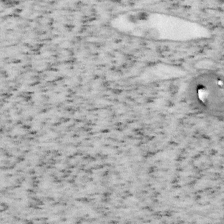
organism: Mouse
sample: OT-I killer T cells with ID8 ovarian cancer cells